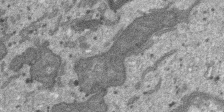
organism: Human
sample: Lung epithelial cells infected with SARS-CoV-2